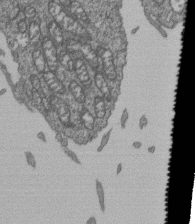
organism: Human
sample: Retinal organoid Rod and Cone cells